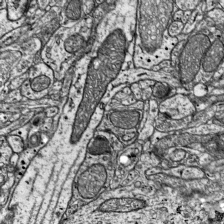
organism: Mouse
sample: Visual Cortex